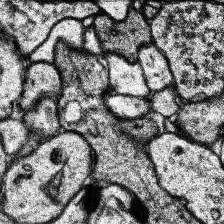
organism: Human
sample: Temporal Lobe